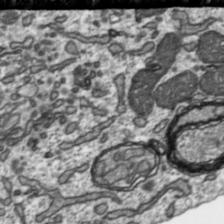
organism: Toxoplasma gondii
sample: Parasites in a vacuole inside a host cell